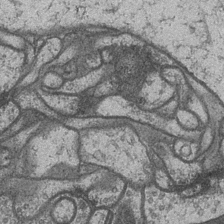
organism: Drosophila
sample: Optic medulla